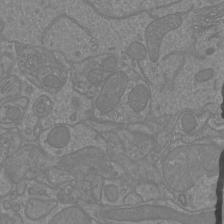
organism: Mouse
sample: Cortical neurons